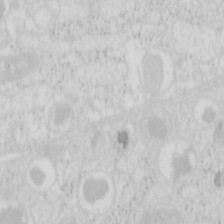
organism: Mouse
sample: Pancreas